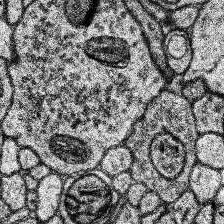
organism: Human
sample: Temporal Lobe